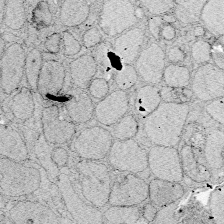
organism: Zebrafish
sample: Whole-Brain